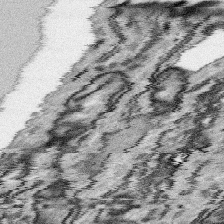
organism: Human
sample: HeLa cells